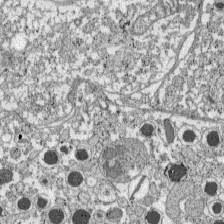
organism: C57BL Mouse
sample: Pancreatic islet